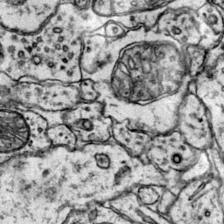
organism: Mouse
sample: Primary visual cortex